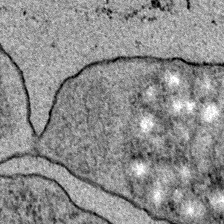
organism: E. coli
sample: E. Coli Bacteria